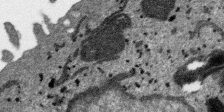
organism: Human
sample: Lung epithelial cells, uninfected (mock) control